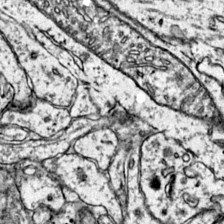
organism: Mouse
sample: Primary visual cortex